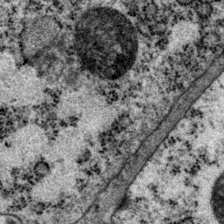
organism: P. pacificus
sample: Pharynx